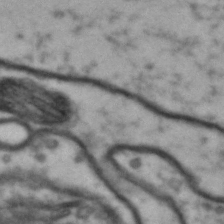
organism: Drosophila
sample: Brain